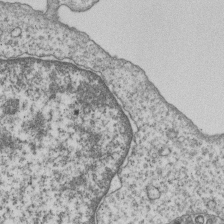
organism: Human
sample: MDA-MB-231 cells